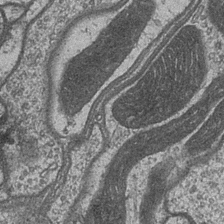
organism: Drosophila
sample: Optic medulla